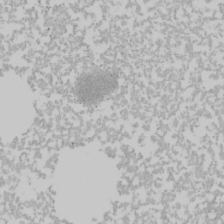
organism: Mouse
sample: Cancer cell death in ED-1 cells